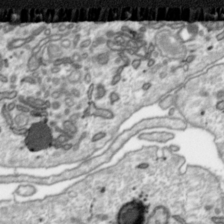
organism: Toxoplasma gondii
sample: Parasites in a vacuole inside a host cell